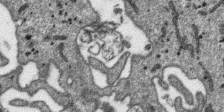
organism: Human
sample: Lung epithelial cells infected with SARS-CoV-2